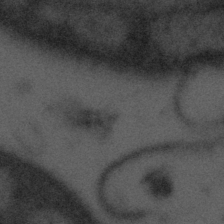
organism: Tuwongella immobilis